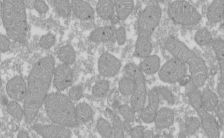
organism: Xenopus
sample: Cilia; centrioles in frog embryo cells